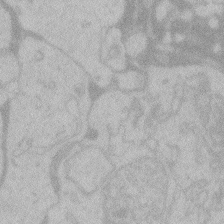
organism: Zebrafish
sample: Macrophage infected with Toxoplasma gondii